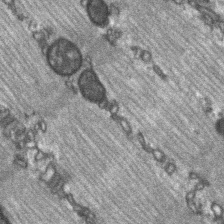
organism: C57BL Mouse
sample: Soleus